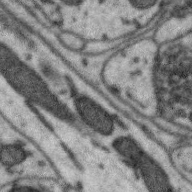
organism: Zebra finch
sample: Brain